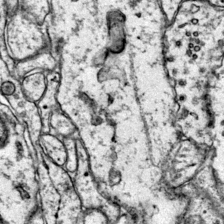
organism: Mouse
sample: Primary visual cortex